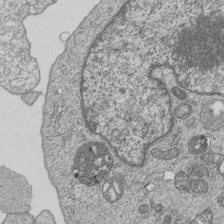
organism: Human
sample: MDA-MB-231 cells